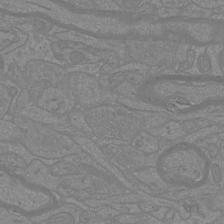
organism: Mouse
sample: Cortical neurons